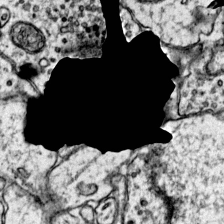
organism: Mouse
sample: Primary visual cortex